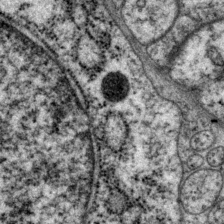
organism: P. pacificus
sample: Pharynx